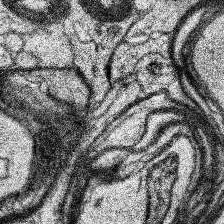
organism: Human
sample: Temporal Lobe